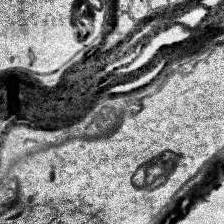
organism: Human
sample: Temporal Lobe